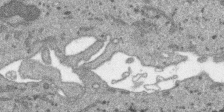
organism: Human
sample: Lung epithelial cells infected with SARS-CoV-2